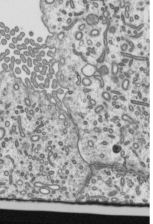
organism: Mouse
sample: Mouse epididymis efferent ductule cilia